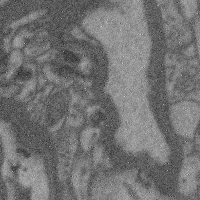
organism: Mouse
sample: Cerebral cortex